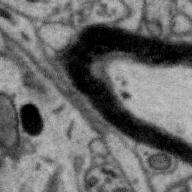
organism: Zebra finch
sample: Brain